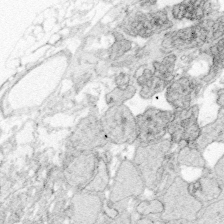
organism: Zebrafish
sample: Whole-Brain